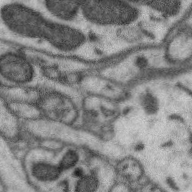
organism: Zebra finch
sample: Brain